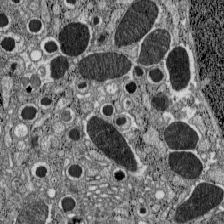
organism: C57BL Mouse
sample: Pancreatic islet